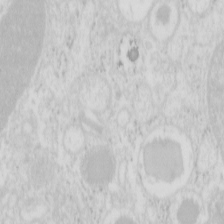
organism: Mouse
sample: Pancreas